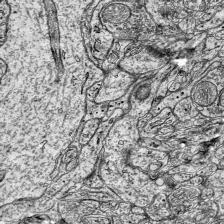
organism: Mouse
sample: Visual Cortex